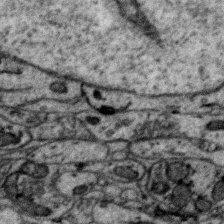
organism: Zebra finch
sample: Brain